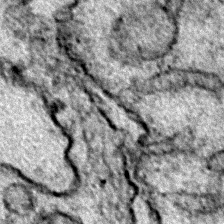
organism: Zebrafish